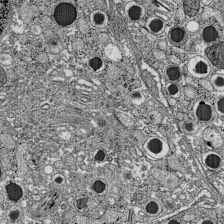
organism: C57BL Mouse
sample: Pancreatic islet